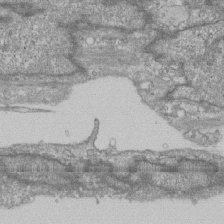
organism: Human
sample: Fibroblast cells